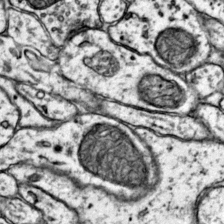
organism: Mouse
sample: Primary visual cortex